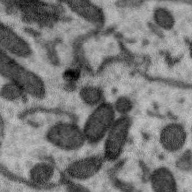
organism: Zebra finch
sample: Brain